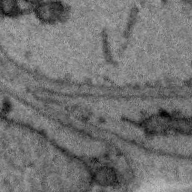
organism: Zebra finch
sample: Brain